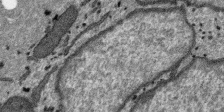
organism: Human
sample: Lung epithelial cells, uninfected (mock) control